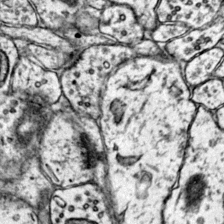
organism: Mouse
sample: Primary visual cortex